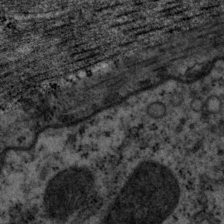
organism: P. pacificus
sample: Pharynx